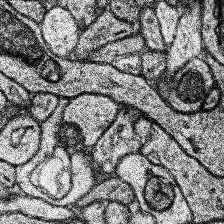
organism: Human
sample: Temporal Lobe